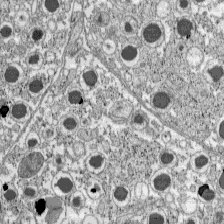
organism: C57BL Mouse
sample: Pancreatic islet